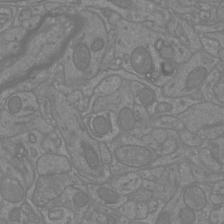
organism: Mouse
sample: Cortical neurons